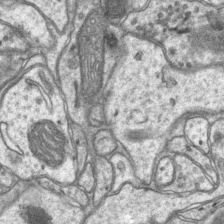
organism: Mouse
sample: CA1 Hippocampus